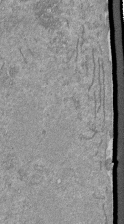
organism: Mouse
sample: ED-1 cell nuclei; centrioles